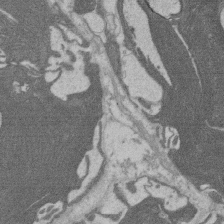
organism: Rat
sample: Salivary granule